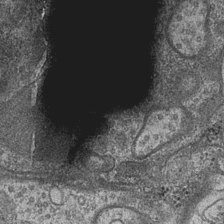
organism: Drosophila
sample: Optic medulla